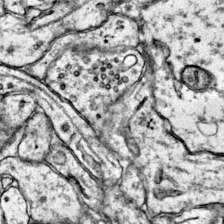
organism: Mouse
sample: Primary visual cortex